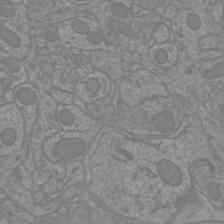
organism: Mouse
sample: Cortical neurons